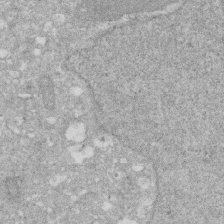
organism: Human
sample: HIV infected U937 cells